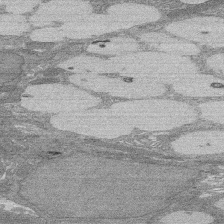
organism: Rat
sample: Salivary granule